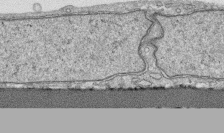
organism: Human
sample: CRL-1474